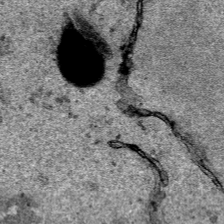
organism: Human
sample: Mitochondria in HCT116 cells